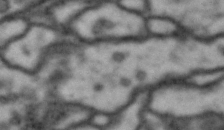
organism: Drosophila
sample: Brain